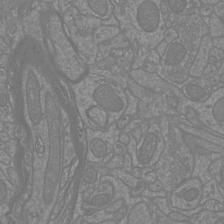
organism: Mouse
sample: Cortical neurons